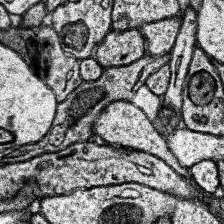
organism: Human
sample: Temporal Lobe